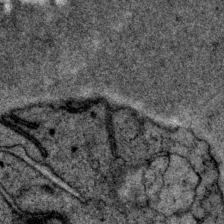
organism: P. pacificus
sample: Pharynx